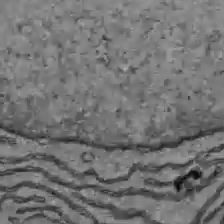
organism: C57BL Mouse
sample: Liver